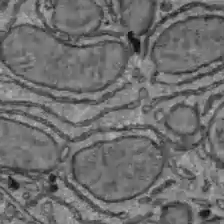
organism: C57BL Mouse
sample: Liver